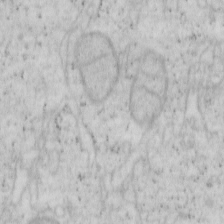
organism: Human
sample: HeLa cells